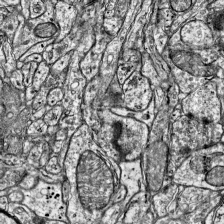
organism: Mouse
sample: Visual Cortex